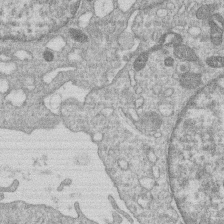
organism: Human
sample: Macrophage cells